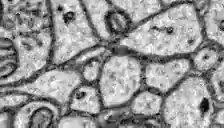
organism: Zebrafish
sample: Brain